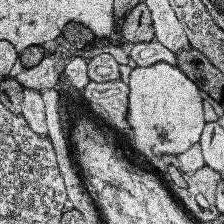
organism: Human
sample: Temporal Lobe